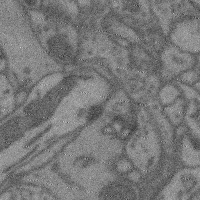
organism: Mouse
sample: Cerebral cortex